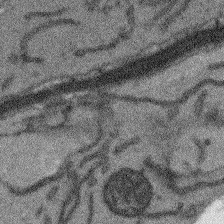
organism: Arabidopsis thaliana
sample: Root tip